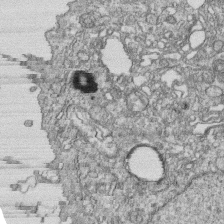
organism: Human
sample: HeLa cell HIV synapse